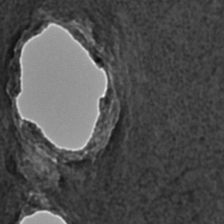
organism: C. elegans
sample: C. elegans embryo